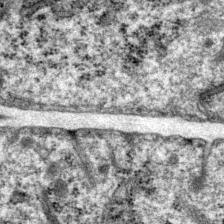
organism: P. pacificus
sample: Pharynx